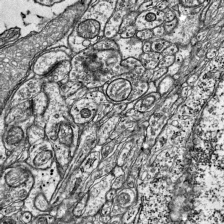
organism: Mouse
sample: Visual Cortex